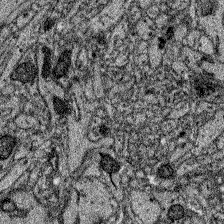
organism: Zebrafish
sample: Larval olfactory bulb